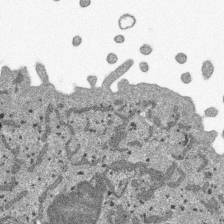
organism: Human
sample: Lung epithelial cells infected with SARS-CoV-2